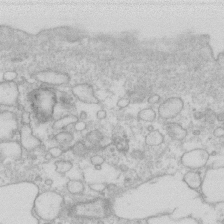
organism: Human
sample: Fibroblast cells